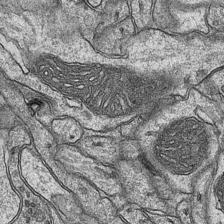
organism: Mouse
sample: CA1 Hippocampus